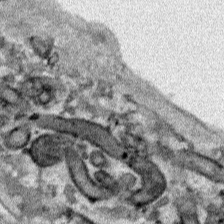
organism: Human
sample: Mitochondria in HCT116 cells